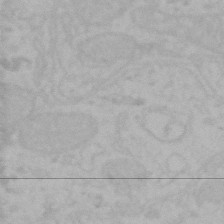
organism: Mouse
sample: Choroid plexus